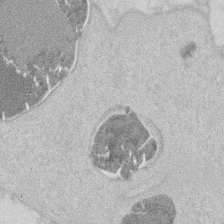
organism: Mouse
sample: T cell stromal cell synapse